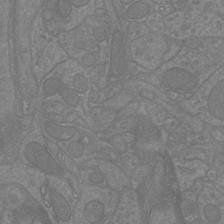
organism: Mouse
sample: Cortical neurons